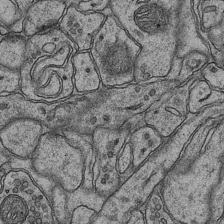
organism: Mouse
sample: CA1 Hippocampus